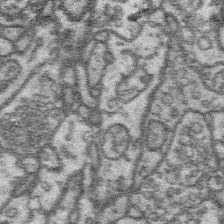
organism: Platynereis dumerilii